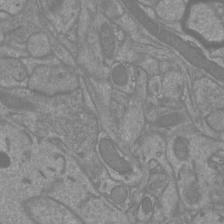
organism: Mouse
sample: Cortical neurons